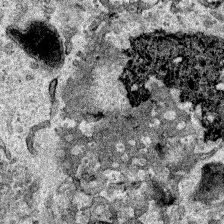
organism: Human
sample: Mitochondria in HCT116 cells